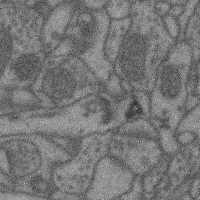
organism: Mouse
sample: Cerebral cortex